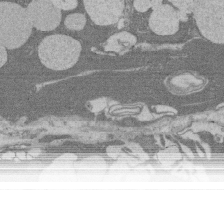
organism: Rat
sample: Salivary granule